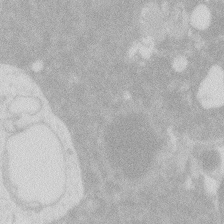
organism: Zebrafish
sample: Macrophage